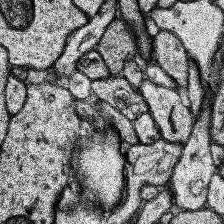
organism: Human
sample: Temporal Lobe